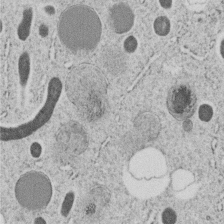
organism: C. elegans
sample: C. elegans embryo early stage